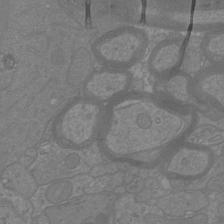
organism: Mouse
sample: Cortical neurons